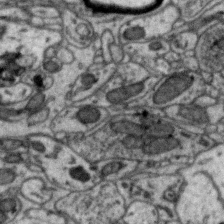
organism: Zebra finch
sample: Brain